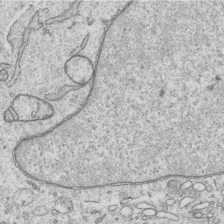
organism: Human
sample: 1205lu cells